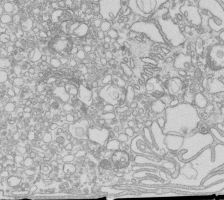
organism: Mouse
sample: Macrophages